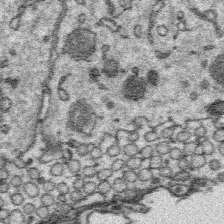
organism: Platynereis dumerilii